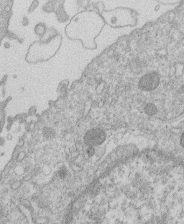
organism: Human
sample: Macrophage cells